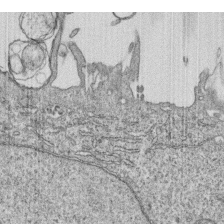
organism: Human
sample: HeLa cell HIV synapse